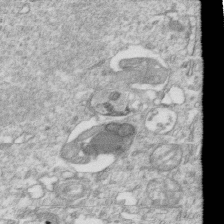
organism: Mouse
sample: Activated OT-1 CD8+ T cells